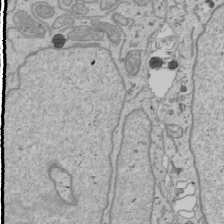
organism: Human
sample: Mitochondria in U2OS cells